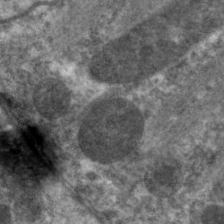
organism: C. elegans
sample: Pharynx